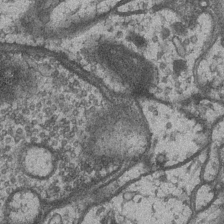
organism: Drosophila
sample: Optic medulla